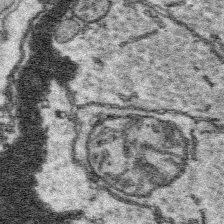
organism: Platynereis dumerilii